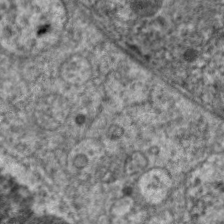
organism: C. elegans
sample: Pharynx